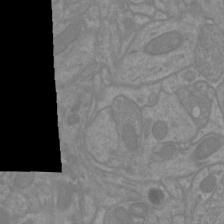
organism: Mouse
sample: Cortical neurons